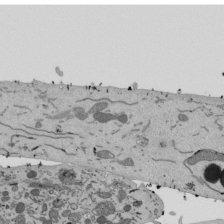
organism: Mouse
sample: ED-1 cell nuclei; centrioles